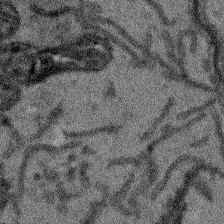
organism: Arabidopsis thaliana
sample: Root tip